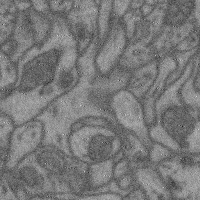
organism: Mouse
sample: Cerebral cortex